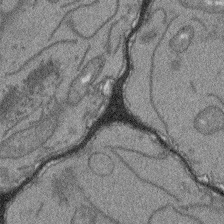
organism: Arabidopsis thaliana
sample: Root tip